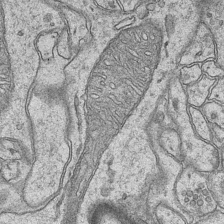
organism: Mouse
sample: CA1 Hippocampus